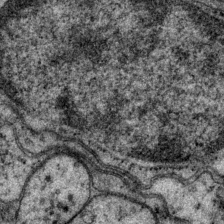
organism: P. pacificus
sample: Pharynx